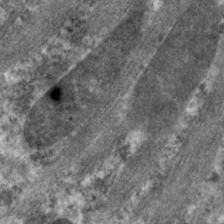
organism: C. elegans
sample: Pharynx